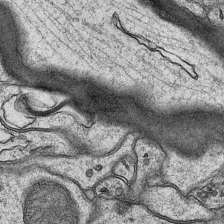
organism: Mouse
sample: CA1 Hippocampus